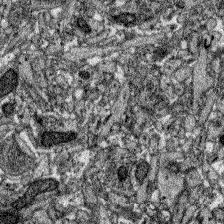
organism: Zebrafish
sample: Larval olfactory bulb